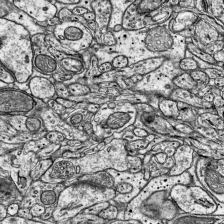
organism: Mouse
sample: Visual Cortex